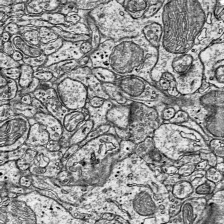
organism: Mouse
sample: Visual Cortex